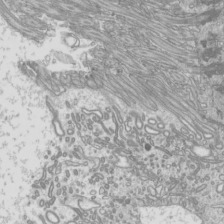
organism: Mouse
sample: Cilia; mouse epididymis